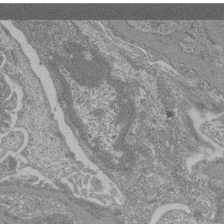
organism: Mouse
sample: Glomerulus